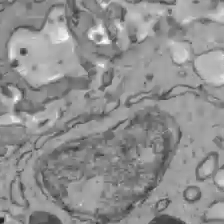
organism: C57BL Mouse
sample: Liver